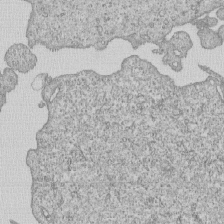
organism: Human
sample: MDA-MB-231 cells